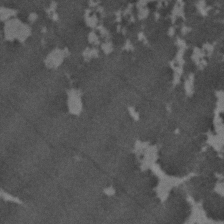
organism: C. elegans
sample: C. elegans embryo